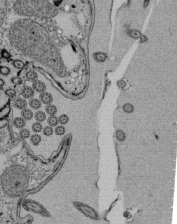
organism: Tetrahymena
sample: Cilia in tetrahymena